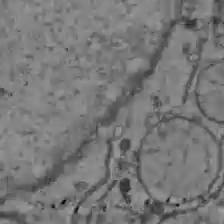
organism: C57BL Mouse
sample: Liver